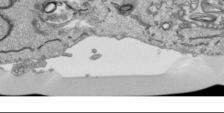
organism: Human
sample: Mitochondria in HCT116 cells